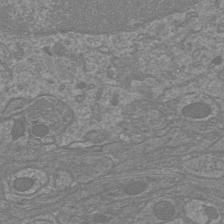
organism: Mouse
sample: Cortical neurons